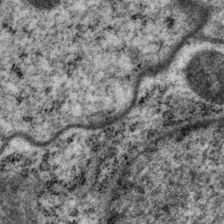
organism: P. pacificus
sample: Pharynx